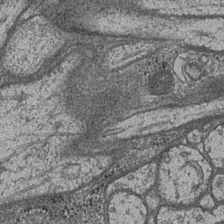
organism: Drosophila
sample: Optic medulla